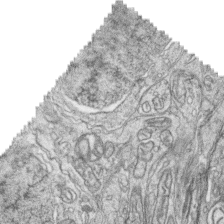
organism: Zebrafish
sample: synaptic ribbons in rod cells and cone cells